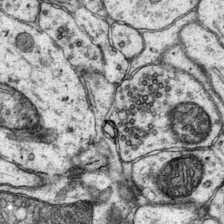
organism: Mouse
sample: Primary visual cortex